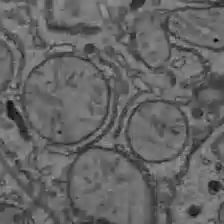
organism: C57BL Mouse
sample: Liver